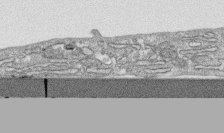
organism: Human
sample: CRL-1474